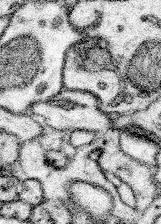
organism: Mouse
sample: Somatosensory cortex neuropil